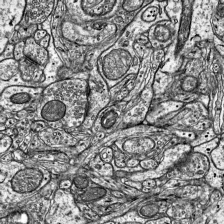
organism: Mouse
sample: Visual Cortex